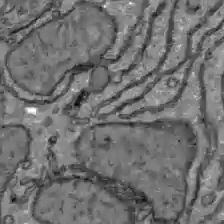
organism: C57BL Mouse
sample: Liver